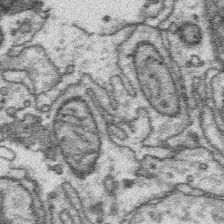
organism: Platynereis dumerilii